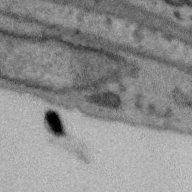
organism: Zebra finch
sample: Brain